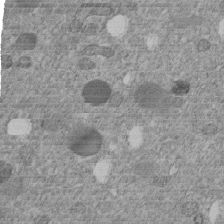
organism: C. elegans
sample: C. elegans embryo early stage